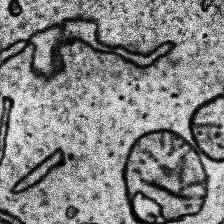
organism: Human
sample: Temporal Lobe